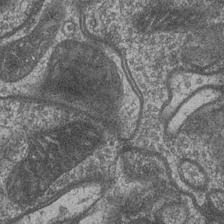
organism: Drosophila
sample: Optic medulla